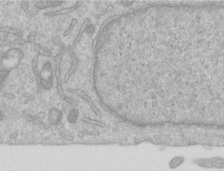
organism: Human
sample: Centriole in RPE cells